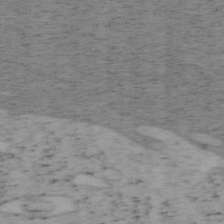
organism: Mouse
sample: OT-I killer T cells with ID8 ovarian cancer cells